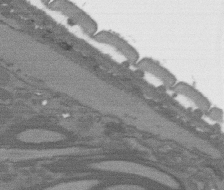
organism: C. elegans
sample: AFD neurons C. elegans